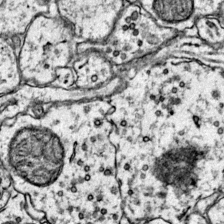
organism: Mouse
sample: Primary visual cortex